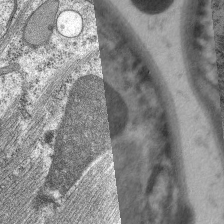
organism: C. elegans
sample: Pharynx